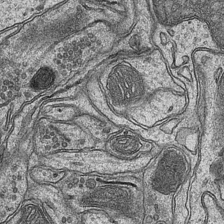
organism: Mouse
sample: CA1 Hippocampus